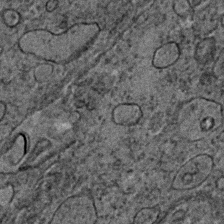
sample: Trachea